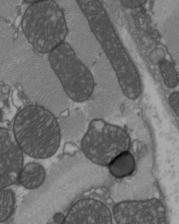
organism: C57BL Mouse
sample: Heart